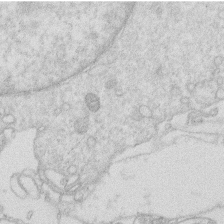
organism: Human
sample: Macrophage cells